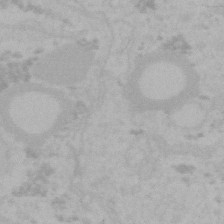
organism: Mouse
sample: Choroid plexus